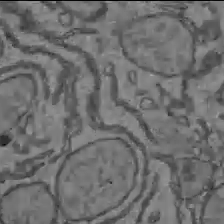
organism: C57BL Mouse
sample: Liver